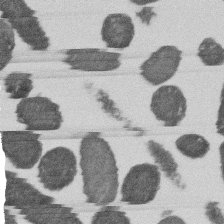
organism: E. coli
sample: Bacterial nucleoid